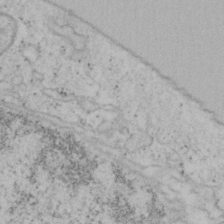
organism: Human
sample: HeLa cells